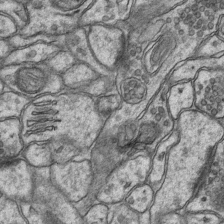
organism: Mouse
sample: CA1 Hippocampus